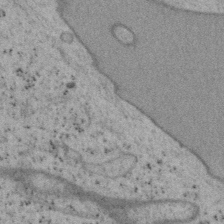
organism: Human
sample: HeLa cells